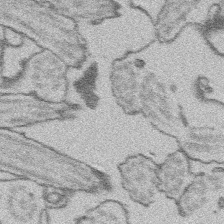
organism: Platynereis dumerilii